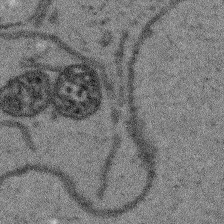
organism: Arabidopsis thaliana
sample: Root tip